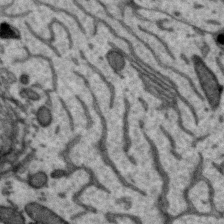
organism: Zebra finch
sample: Brain